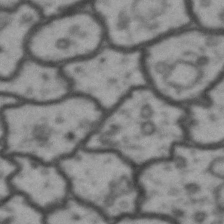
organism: Drosophila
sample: Brain